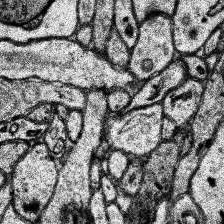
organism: Human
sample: Temporal Lobe